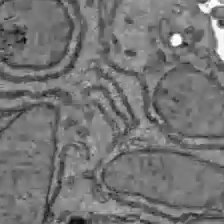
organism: C57BL Mouse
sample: Liver